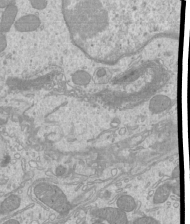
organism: Mouse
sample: Cilia; mouse epididymis